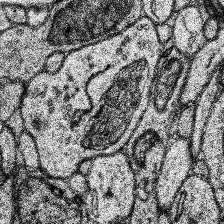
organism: Human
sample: Temporal Lobe